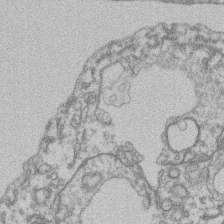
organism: Mouse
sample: T cell stromal cell synapse